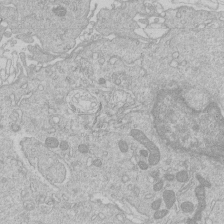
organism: Human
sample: Macrophage cells